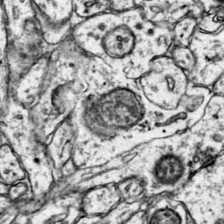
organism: Mouse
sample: Primary visual cortex